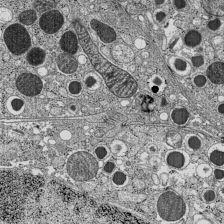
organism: C57BL Mouse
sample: Pancreatic islet